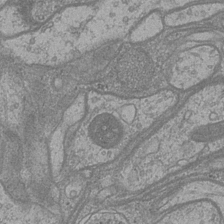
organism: Drosophila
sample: Optic medulla